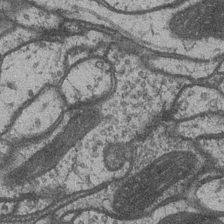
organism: Drosophila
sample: Optic medulla